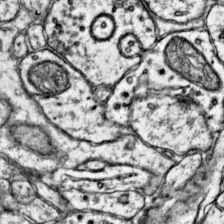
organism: Mouse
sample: Primary visual cortex